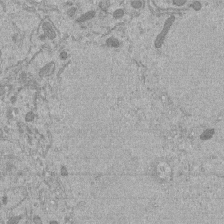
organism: Mouse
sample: ED-1 cell nuclei; centrioles